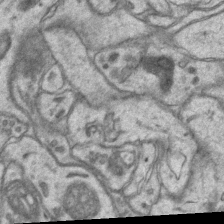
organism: Mouse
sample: CA1 Hippocampus